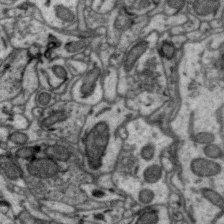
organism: Zebra finch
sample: Brain